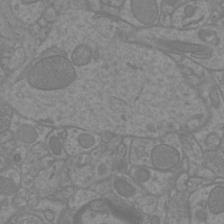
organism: Mouse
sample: Cortical neurons